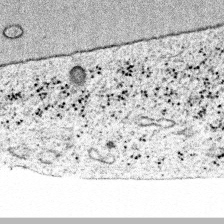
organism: Human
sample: HeLa cells